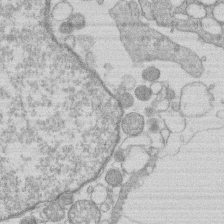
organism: Human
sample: Macrophage cells